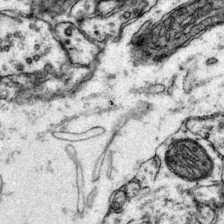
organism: Mouse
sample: Primary visual cortex